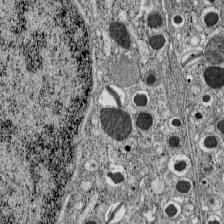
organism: C57BL Mouse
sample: Pancreatic islet